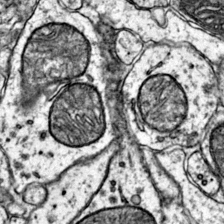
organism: Mouse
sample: Primary visual cortex